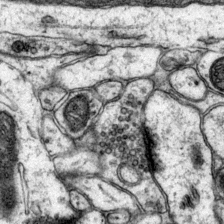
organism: Mouse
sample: Primary visual cortex